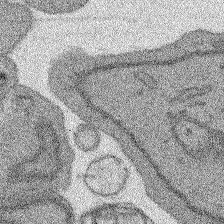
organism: Human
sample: HeLa cells